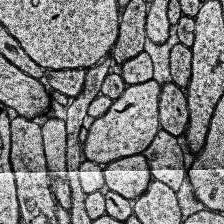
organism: Human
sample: Temporal Lobe